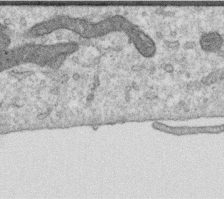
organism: Human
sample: Centriole in RPE cells